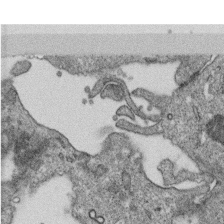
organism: African green monkey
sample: Vero E6 cells infected with SARS-CoV-2